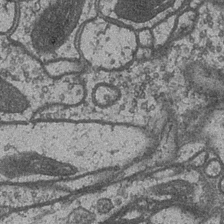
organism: Drosophila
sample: Optic medulla